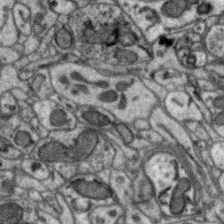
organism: Zebra finch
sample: Brain